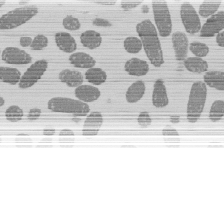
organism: E. coli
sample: Bacterial nucleoid